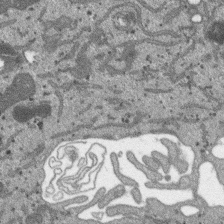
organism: Human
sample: Lung epithelial cells infected with SARS-CoV-2